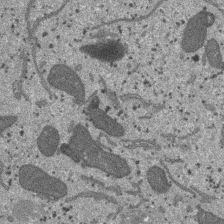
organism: Human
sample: Lung epithelial cells infected with SARS-CoV-2